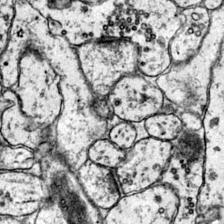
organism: Mouse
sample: Primary visual cortex